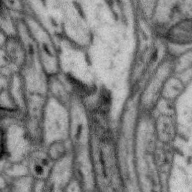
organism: Zebra finch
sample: Brain